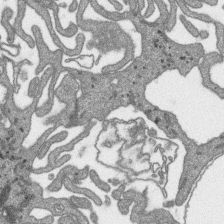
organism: Human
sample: Lung epithelial cells infected with SARS-CoV-2